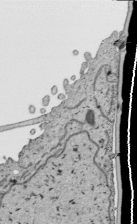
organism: Human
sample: Mitochondria in HCT116 cells